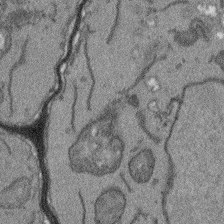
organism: Arabidopsis thaliana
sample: Root tip